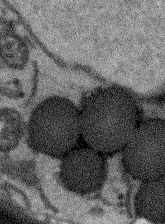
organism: Arabidopsis thaliana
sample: Root tip